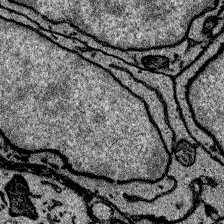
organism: Zebrafish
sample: Larval olfactory bulb